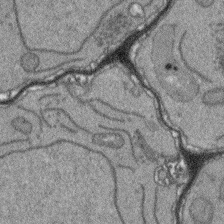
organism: Arabidopsis thaliana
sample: Root tip